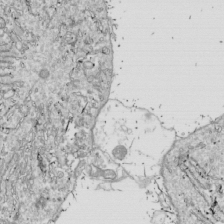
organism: Drosophila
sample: Cell division; meiosis; drosophila spermatocytes